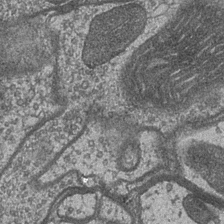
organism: Drosophila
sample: Optic medulla